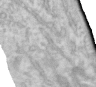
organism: Human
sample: Centriole in RPE cells